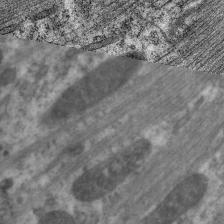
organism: C. elegans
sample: Pharynx